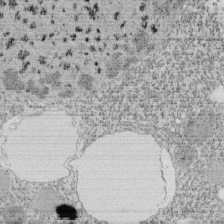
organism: Tetrahymena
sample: Cilia in tetrahymena